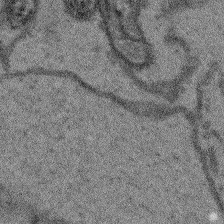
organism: Arabidopsis thaliana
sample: Root tip